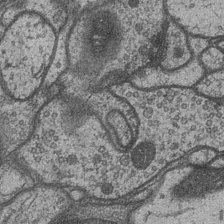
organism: Drosophila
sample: Optic medulla